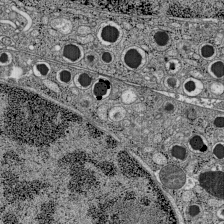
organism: C57BL Mouse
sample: Pancreatic islet